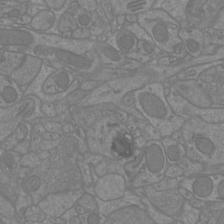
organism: Mouse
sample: Cortical neurons